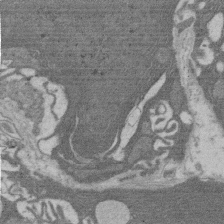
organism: Rat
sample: Salivary granule